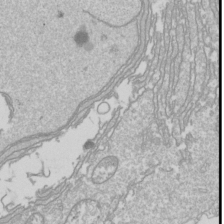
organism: Drosophila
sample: Cell division; meiosis; drosophila spermatocytes